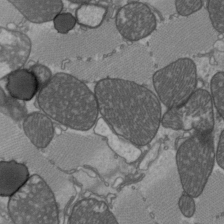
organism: C57BL Mouse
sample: Heart